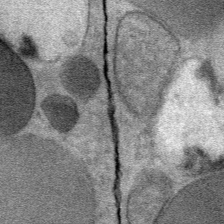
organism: Mouse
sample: Mouse Salivary gland